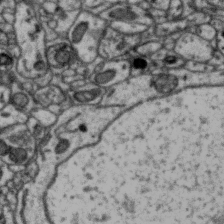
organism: Zebra finch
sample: Brain